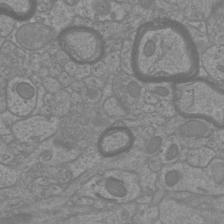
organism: Mouse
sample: Cortical neurons